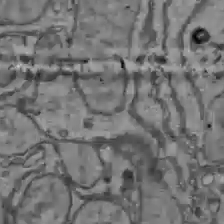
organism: C57BL Mouse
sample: Liver